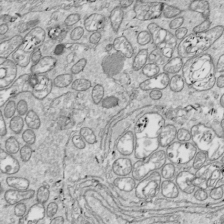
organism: Drosophila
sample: Cell division; meiosis; drosophila spermatocytes